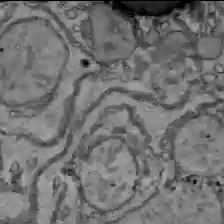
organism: C57BL Mouse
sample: Liver